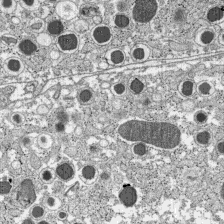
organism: C57BL Mouse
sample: Pancreatic islet